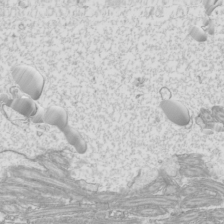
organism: Mouse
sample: Cilia; mouse epididymis